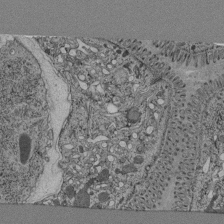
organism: C. elegans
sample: C. elegans pharynx